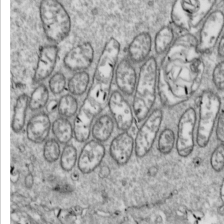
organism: Drosophila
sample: Cell division; meiosis; drosophila spermatocytes